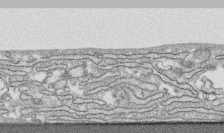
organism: Human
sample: CRL-1474